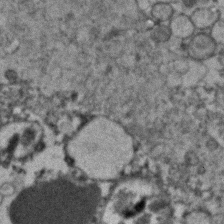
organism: Human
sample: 1205lu cells